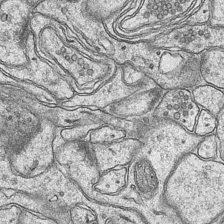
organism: Mouse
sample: CA1 Hippocampus